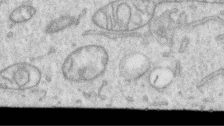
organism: Human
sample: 1205lu cells